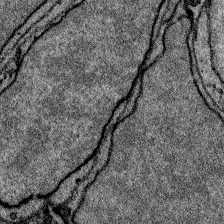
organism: Zebrafish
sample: Larval olfactory bulb